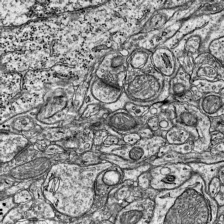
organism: Mouse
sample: Visual Cortex